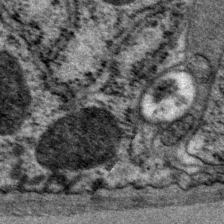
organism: P. pacificus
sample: Pharynx